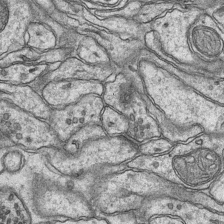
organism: Mouse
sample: CA1 Hippocampus